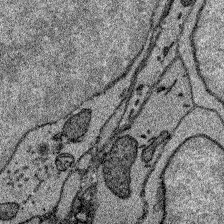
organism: Zebrafish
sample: Larval olfactory bulb